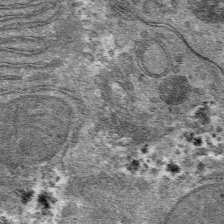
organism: Mouse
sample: Mouse hepatocytes